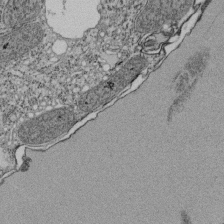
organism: Tetrahymena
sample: Cilia in tetrahymena